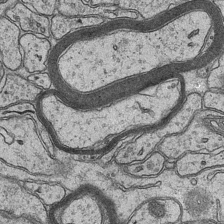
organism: Mouse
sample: CA1 Hippocampus